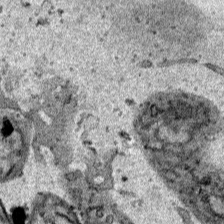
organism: Human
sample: Mitochondria in HCT116 cells